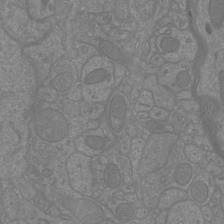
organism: Mouse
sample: Cortical neurons